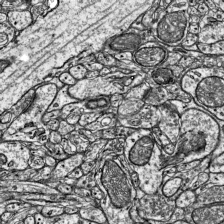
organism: Mouse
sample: Visual Cortex